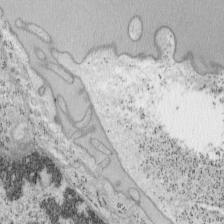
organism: Mouse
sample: OT-I killer T cells with ID8 ovarian cancer cells